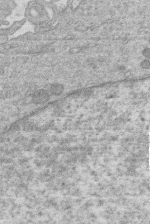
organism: Human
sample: Macrophage cells